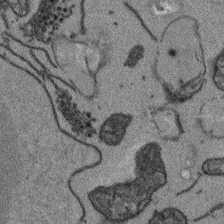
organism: Arabidopsis thaliana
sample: Root tip